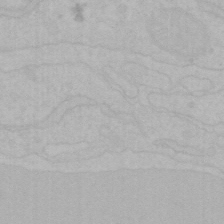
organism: Mouse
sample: Choroid plexus